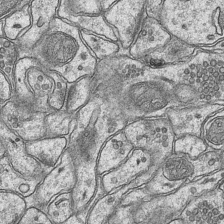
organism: Mouse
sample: CA1 Hippocampus